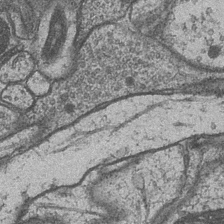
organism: Drosophila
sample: Optic medulla